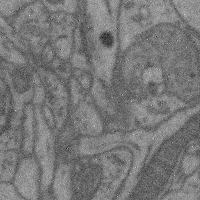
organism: Mouse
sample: Cerebral cortex